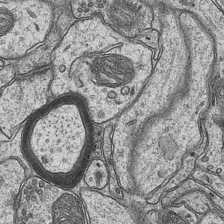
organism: Mouse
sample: CA1 Hippocampus